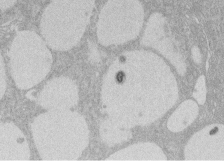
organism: Rat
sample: Salivary granule